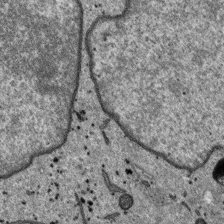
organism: Human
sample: Lung epithelial cells, uninfected (mock) control